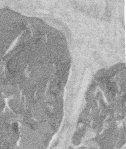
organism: Mouse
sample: T cell stromal cell synapse